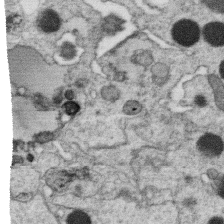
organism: C. elegans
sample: C. elegans oocyte; sperm cells